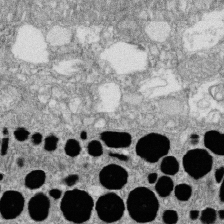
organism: Zebrafish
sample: Cilia; retinal pigment epithelium